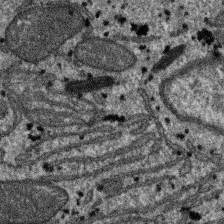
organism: Human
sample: Lung epithelial cells infected with SARS-CoV-2